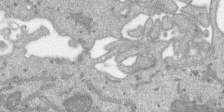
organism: Human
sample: Lung epithelial cells infected with SARS-CoV-2